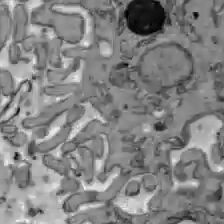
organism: C57BL Mouse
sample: Liver